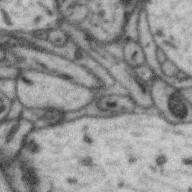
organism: Zebra finch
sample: Brain